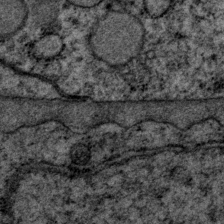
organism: P. pacificus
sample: Pharynx